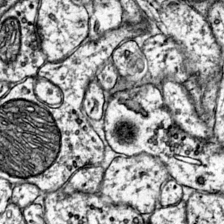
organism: Mouse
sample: Primary visual cortex